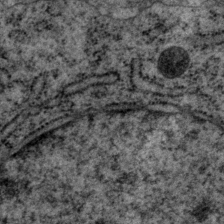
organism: P. pacificus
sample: Pharynx